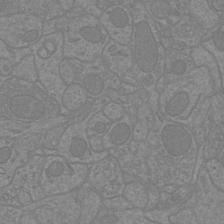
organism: Mouse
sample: Cortical neurons